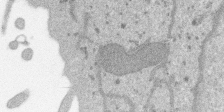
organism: Human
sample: Lung epithelial cells infected with SARS-CoV-2